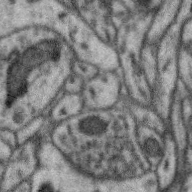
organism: Zebra finch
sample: Brain